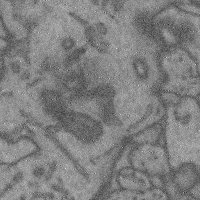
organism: Mouse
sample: Cerebral cortex